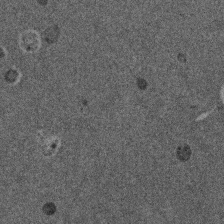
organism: Mouse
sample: Dividing mouse embryo 1 cell stage